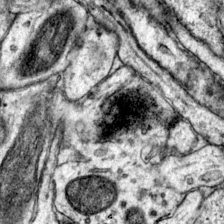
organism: Mouse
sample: Primary visual cortex